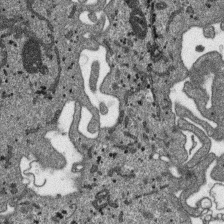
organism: Human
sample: Lung epithelial cells infected with SARS-CoV-2